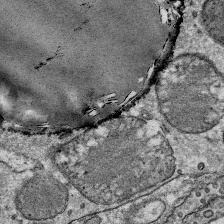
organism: Mouse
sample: Mouse Salivary gland